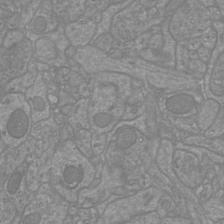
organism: Mouse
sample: Cortical neurons